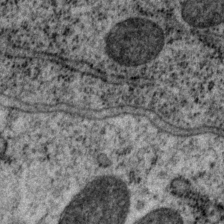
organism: P. pacificus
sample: Pharynx